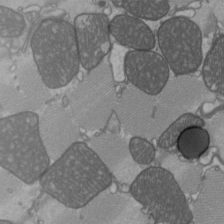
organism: C57BL Mouse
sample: Heart